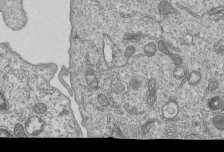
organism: Human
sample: MDA-MB-231 cells